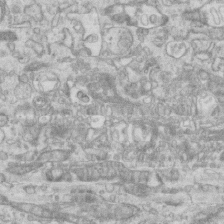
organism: Mouse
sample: Centriole in ependymal cells